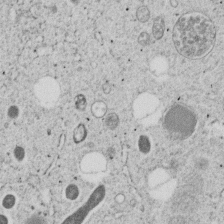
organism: C. elegans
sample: C. elegans embryo early stage